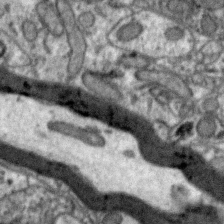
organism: Zebra finch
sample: Brain